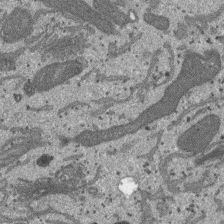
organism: Human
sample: Lung epithelial cells infected with SARS-CoV-2